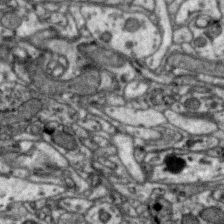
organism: Zebra finch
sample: Brain